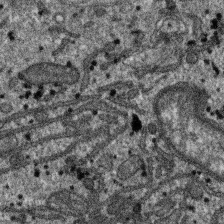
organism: Human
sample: Lung epithelial cells infected with SARS-CoV-2